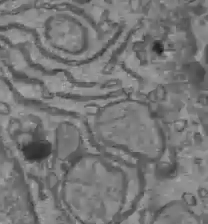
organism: C57BL Mouse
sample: Liver